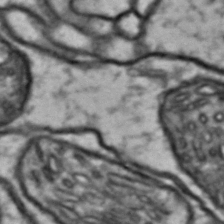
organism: Drosophila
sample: Brain